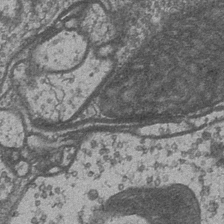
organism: Drosophila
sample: Optic medulla